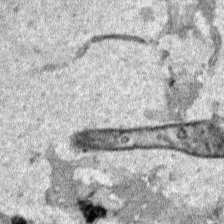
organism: Human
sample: Mitochondria in HCT116 cells